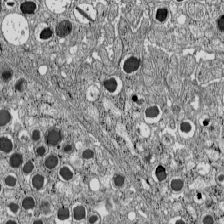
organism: C57BL Mouse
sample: Pancreatic islet